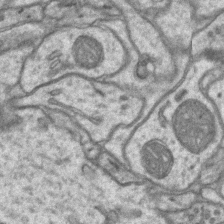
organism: Mouse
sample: CA1 Hippocampus